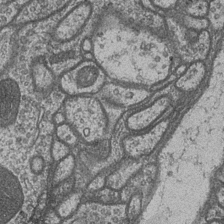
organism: Drosophila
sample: Optic medulla